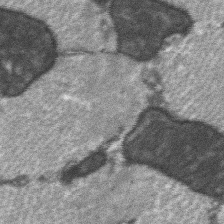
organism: C57BL Mouse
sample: Soleus